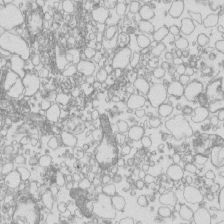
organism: Mouse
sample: Macrophages